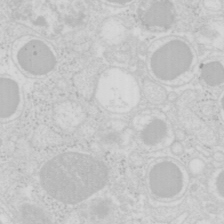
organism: Mouse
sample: Pancreas